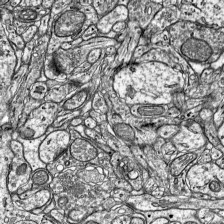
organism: Mouse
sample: Visual Cortex